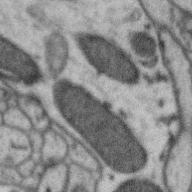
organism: Zebra finch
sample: Brain